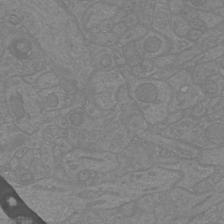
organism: Mouse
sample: Cortical neurons